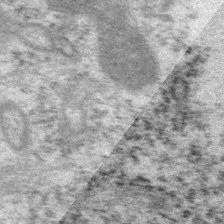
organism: P. pacificus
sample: Pharynx